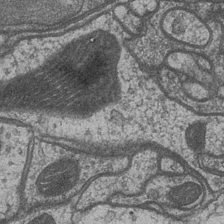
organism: Drosophila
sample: Optic medulla